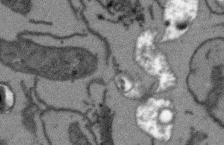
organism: Arabidopsis thaliana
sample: Root tip